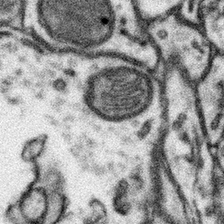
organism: Mouse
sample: Somatosensory cortex neuropil